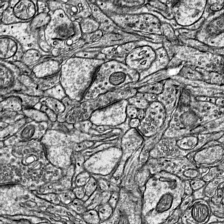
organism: Mouse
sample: Visual Cortex